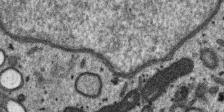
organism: Human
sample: Lung epithelial cells infected with SARS-CoV-2